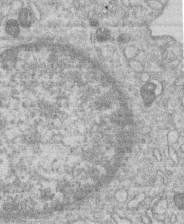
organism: Human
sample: Macrophage cells